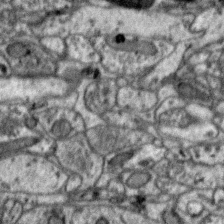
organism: Zebra finch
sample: Brain